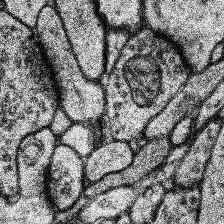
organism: Human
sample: Temporal Lobe